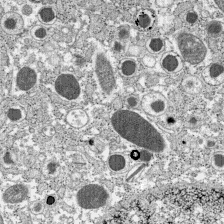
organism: C57BL Mouse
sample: Pancreatic islet